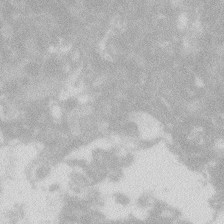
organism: Zebrafish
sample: Macrophage